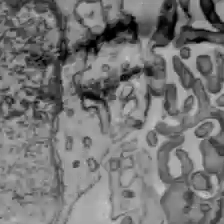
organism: C57BL Mouse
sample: Liver